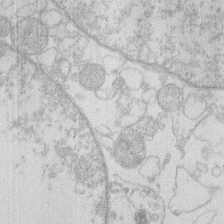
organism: Human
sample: Macrophage cells